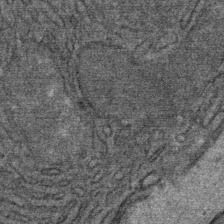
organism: Mouse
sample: Mouse Salivary gland